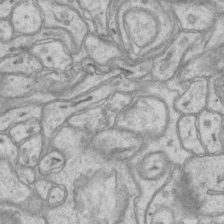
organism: Mouse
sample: CA1 Hippocampus